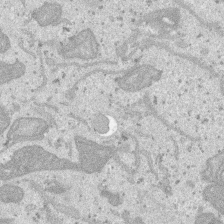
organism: Human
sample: Lung epithelial cells infected with SARS-CoV-2